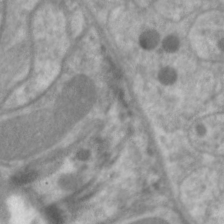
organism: C. elegans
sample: Pharynx